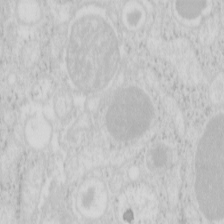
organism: Mouse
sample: Pancreas